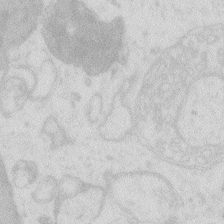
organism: Zebrafish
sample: Macrophage